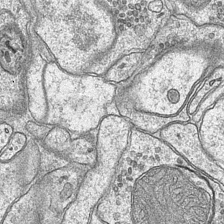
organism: Mouse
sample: CA1 Hippocampus